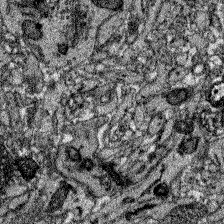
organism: Zebrafish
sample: Larval olfactory bulb